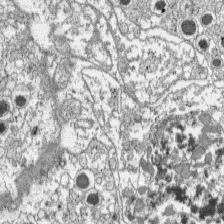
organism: C57BL Mouse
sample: Pancreatic islet